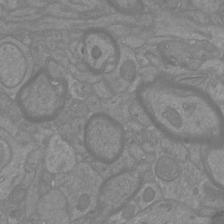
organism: Mouse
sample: Cortical neurons